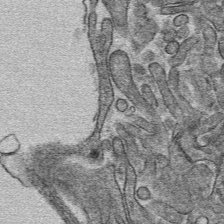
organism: Mouse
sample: Mouse hepatocytes